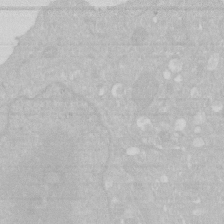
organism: Human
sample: HIV infected U937 cells